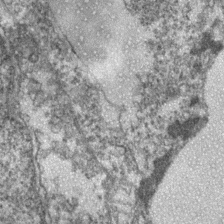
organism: Zebrafish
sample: Zebrafish embryo